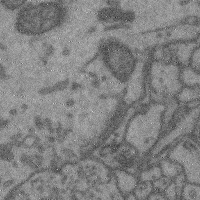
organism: Mouse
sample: Cerebral cortex